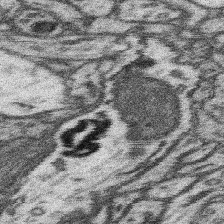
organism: Mouse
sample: Somatosensory cortex neuropil